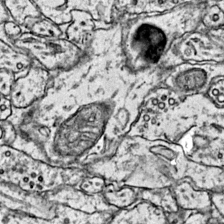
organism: Mouse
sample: Primary visual cortex